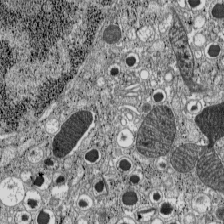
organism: C57BL Mouse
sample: Pancreatic islet